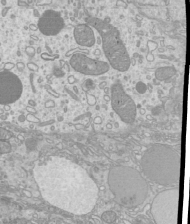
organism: Mouse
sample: Cilia; mouse epididymis